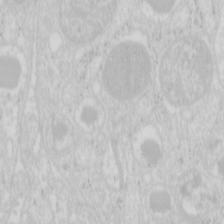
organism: Mouse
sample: Pancreas